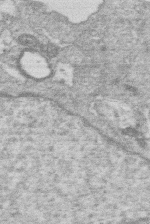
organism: Human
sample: Macrophage cells